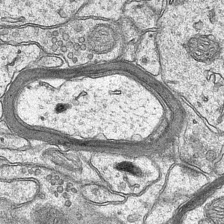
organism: Mouse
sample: CA1 Hippocampus